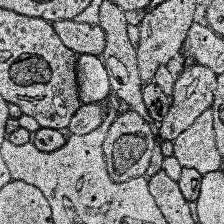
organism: Human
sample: Temporal Lobe